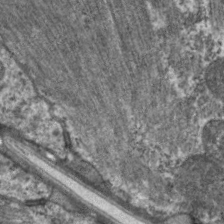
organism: C. elegans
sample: Pharynx